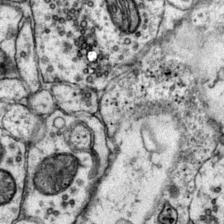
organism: Mouse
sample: Primary visual cortex